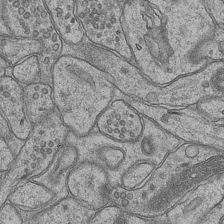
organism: Mouse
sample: CA1 Hippocampus